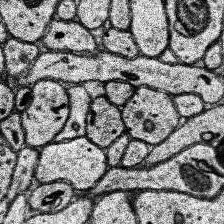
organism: Human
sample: Temporal Lobe